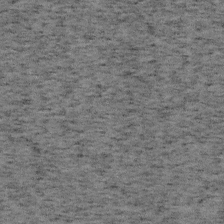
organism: Mouse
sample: OT-I killer T cells with ID8 ovarian cancer cells